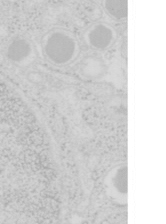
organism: Mouse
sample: Pancreas